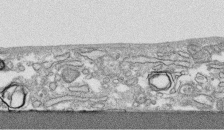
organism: Human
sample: CRL-1474